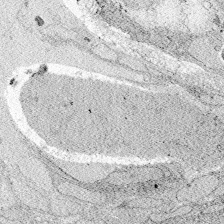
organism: Zebrafish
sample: Whole-Brain